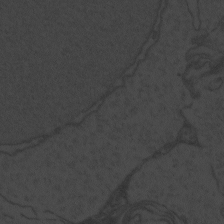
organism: Zebrafish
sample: Macrophage infected with Toxoplasma gondii